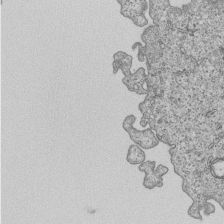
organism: Human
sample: MDA-MB-231 cells